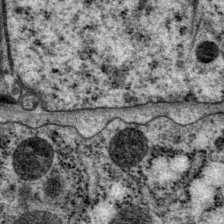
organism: P. pacificus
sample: Pharynx